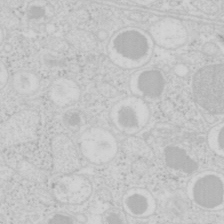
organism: Mouse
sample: Pancreas